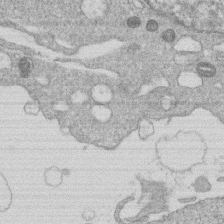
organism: Human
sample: Macrophage cells